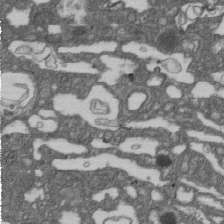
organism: Drosophila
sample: Nephrocyte